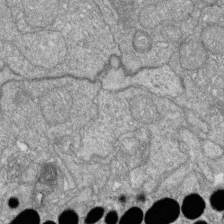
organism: Zebrafish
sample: Cilia; retinal pigment epithelium